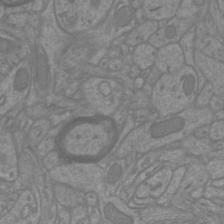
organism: Mouse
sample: Cortical neurons